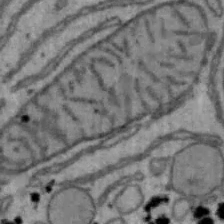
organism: Mouse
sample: Liver